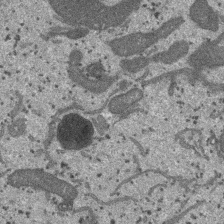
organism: Human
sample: Lung epithelial cells infected with SARS-CoV-2